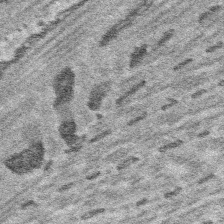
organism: Platynereis dumerilii